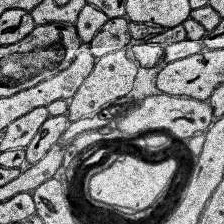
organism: Human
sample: Temporal Lobe